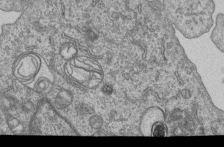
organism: Human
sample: MDA-MB-231 cells